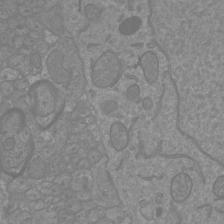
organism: Mouse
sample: Cortical neurons